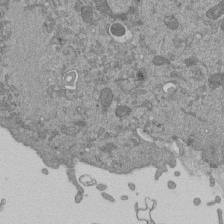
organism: Mouse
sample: ED-1 cell nuclei; centrioles